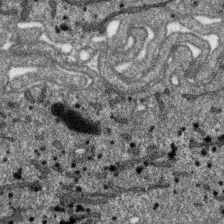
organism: Human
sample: Lung epithelial cells infected with SARS-CoV-2